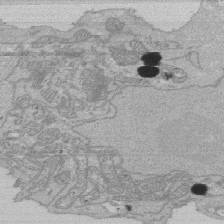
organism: Human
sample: Activated Jurkat CD4+ T cells